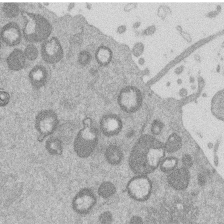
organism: Mouse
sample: Dividing mouse embryo 1 cell stage